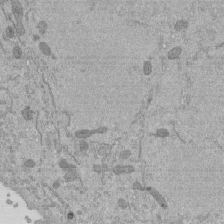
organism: Mouse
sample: ED-1 cell nuclei; centrioles